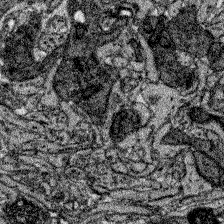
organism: Zebrafish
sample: Larval olfactory bulb